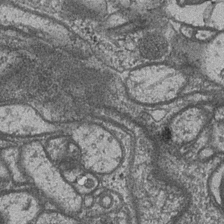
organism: Drosophila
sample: Optic medulla